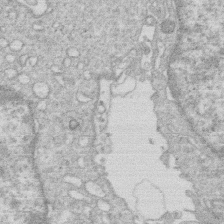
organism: Human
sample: Macrophage cells